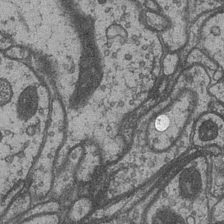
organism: Drosophila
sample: Optic medulla